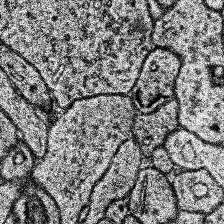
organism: Human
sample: Temporal Lobe